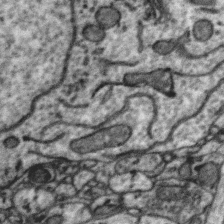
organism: Zebra finch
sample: Brain